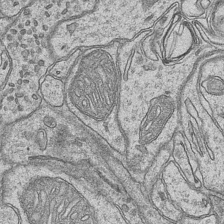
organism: Mouse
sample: CA1 Hippocampus